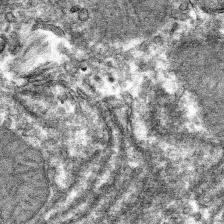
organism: Mouse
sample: Mouse hepatocytes